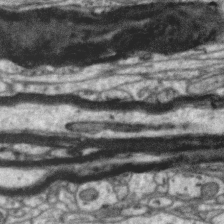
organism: Zebra finch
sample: Brain